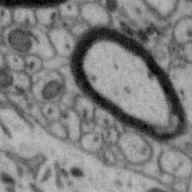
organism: Zebra finch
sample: Brain